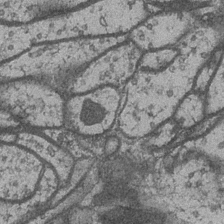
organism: Drosophila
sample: Optic medulla